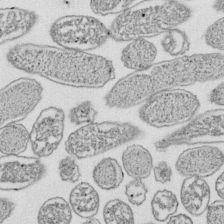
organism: E. coli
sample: Bacterial nucleoid